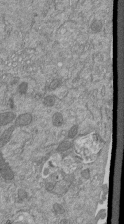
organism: Mouse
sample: ED-1 cell nuclei; centrioles